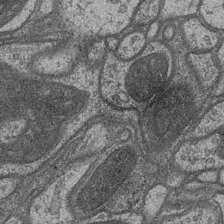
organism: Drosophila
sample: Optic medulla